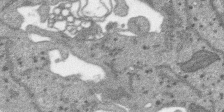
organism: Human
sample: Lung epithelial cells infected with SARS-CoV-2